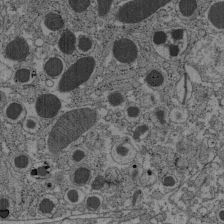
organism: C57BL Mouse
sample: Pancreatic islet